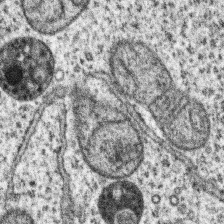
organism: Human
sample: HeLa cells